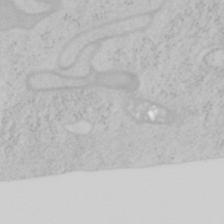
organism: Mouse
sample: OT-I killer T cells with ID8 ovarian cancer cells